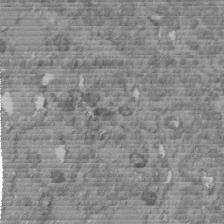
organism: C. elegans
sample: C. elegans embryo early stage